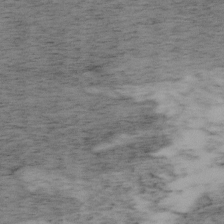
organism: Mouse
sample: OT-I killer T cells with ID8 ovarian cancer cells